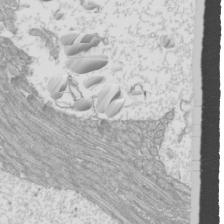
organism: Mouse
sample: Cilia; mouse epididymis